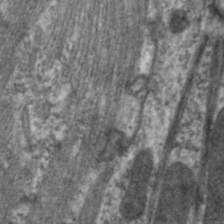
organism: C. elegans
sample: Pharynx